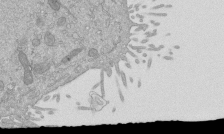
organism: Mouse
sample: ED-1 cell nuclei; centrioles